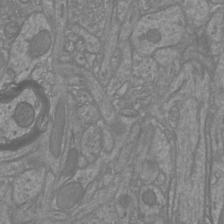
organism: Mouse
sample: Cortical neurons